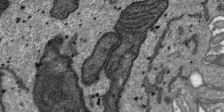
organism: Human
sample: Lung epithelial cells, uninfected (mock) control